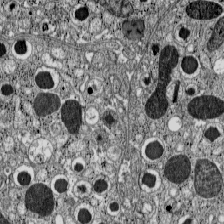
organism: C57BL Mouse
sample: Pancreatic islet